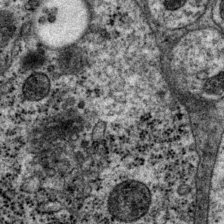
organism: P. pacificus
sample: Pharynx